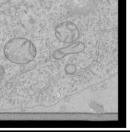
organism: Human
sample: Mitochondria in HCT116 cells